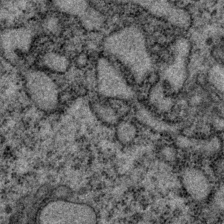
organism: P. pacificus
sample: Pharynx